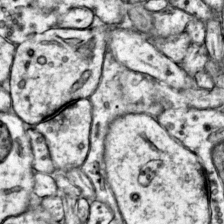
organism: Mouse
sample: Primary visual cortex